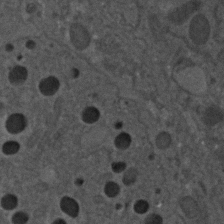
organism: C. elegans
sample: C. elegans embryo